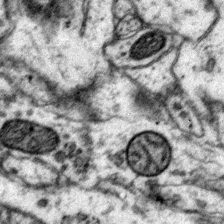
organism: Mouse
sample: Primary visual cortex